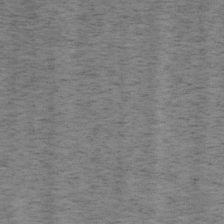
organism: Mouse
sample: OT-I killer T cells with ID8 ovarian cancer cells